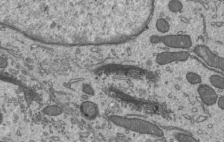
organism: Mouse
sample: Mouse epididymis efferent ductule cilia